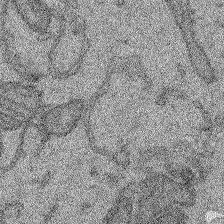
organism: Human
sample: HeLa cells